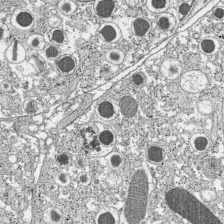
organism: C57BL Mouse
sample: Pancreatic islet